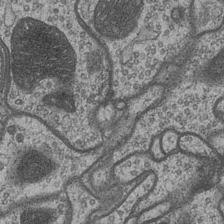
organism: Drosophila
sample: Optic medulla